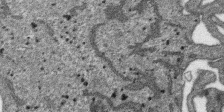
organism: Human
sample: Lung epithelial cells infected with SARS-CoV-2